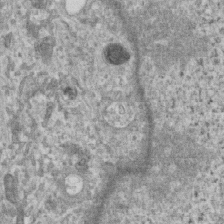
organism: Human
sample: Centriole in RPE cells